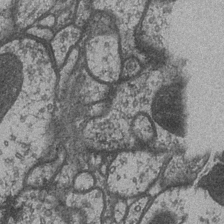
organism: Drosophila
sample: Optic medulla